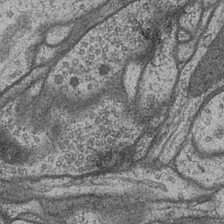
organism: Drosophila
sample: Optic medulla